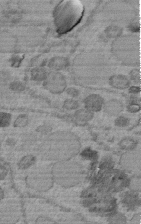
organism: C. elegans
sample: C. elegans embryo early stage